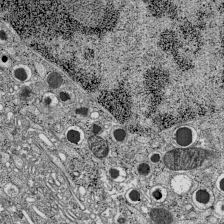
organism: C57BL Mouse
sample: Pancreatic islet